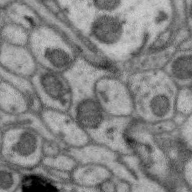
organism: Zebra finch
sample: Brain